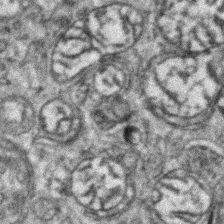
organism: Zebrafish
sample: Zebrafish embryo